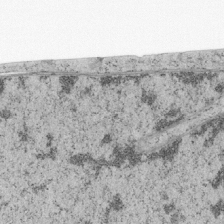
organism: Human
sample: HeLa cells